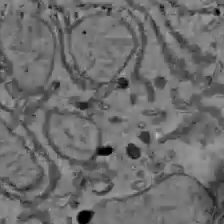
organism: C57BL Mouse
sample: Liver